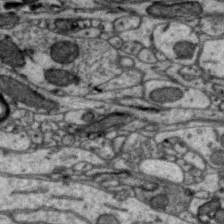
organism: Zebra finch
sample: Brain